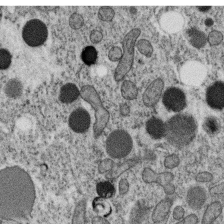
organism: C. elegans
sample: C. elegans oocyte; sperm cells